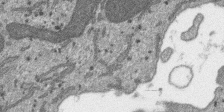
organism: Human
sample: Lung epithelial cells infected with SARS-CoV-2